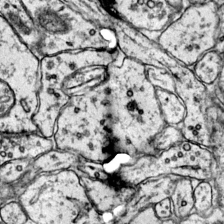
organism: Mouse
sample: Primary visual cortex